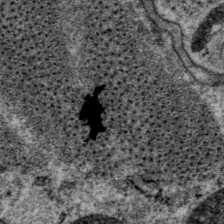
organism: P. pacificus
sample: Pharynx